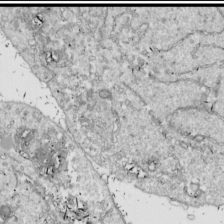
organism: Drosophila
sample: Cell division; meiosis; drosophila spermatocytes